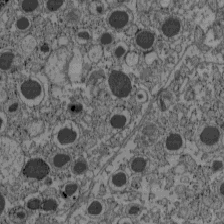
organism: C57BL Mouse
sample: Pancreatic islet